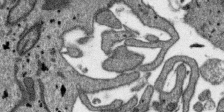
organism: Human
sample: Lung epithelial cells, uninfected (mock) control